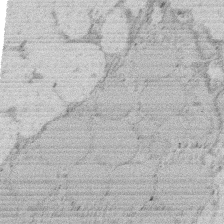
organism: Rat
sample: Salivary granule